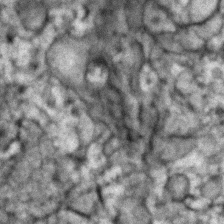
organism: Zebrafish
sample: Zebrafish embryo